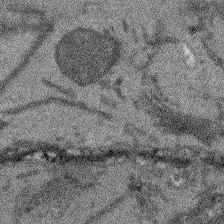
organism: Arabidopsis thaliana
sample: Root tip